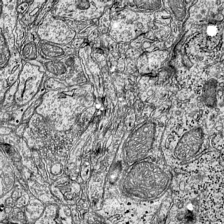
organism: Mouse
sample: Visual Cortex